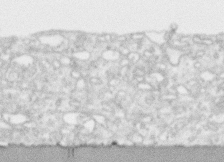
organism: Human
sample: CRL-1474